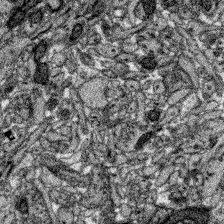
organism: Zebrafish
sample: Larval olfactory bulb